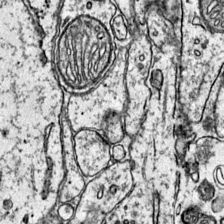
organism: Mouse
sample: Primary visual cortex